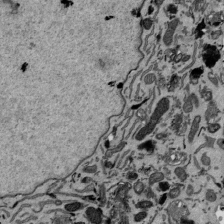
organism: Mouse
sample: ED-1 cell nuclei; centrioles